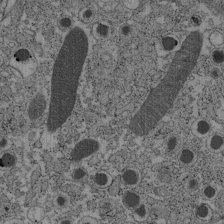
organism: C57BL Mouse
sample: Pancreatic islet